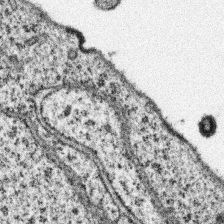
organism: Human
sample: HeLa cells